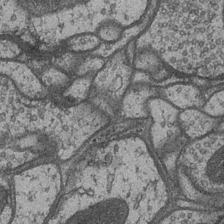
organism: Drosophila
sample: Optic medulla